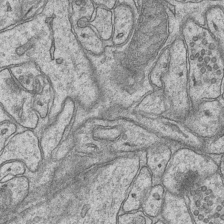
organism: Mouse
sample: CA1 Hippocampus